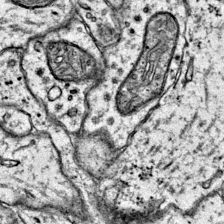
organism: Mouse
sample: Primary visual cortex